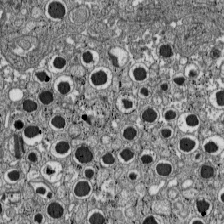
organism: C57BL Mouse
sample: Pancreatic islet